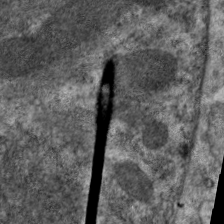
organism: C. elegans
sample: Pharynx